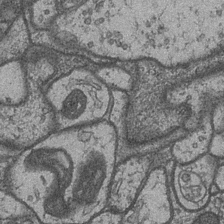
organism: Drosophila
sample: Optic medulla